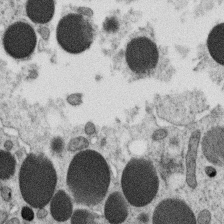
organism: C. elegans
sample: C. elegans oocyte; sperm cells